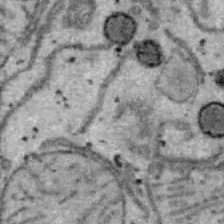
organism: Mouse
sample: Liver from an obese (ob/ob) mouse